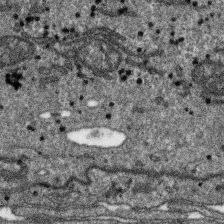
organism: Human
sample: Lung epithelial cells infected with SARS-CoV-2